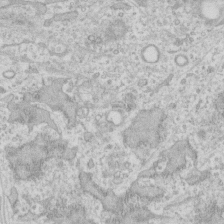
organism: Human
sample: Fibroblast cells